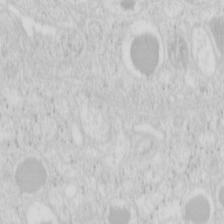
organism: Mouse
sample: Pancreas